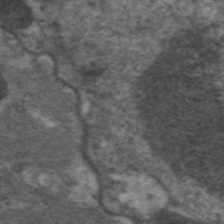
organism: C. elegans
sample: Pharynx